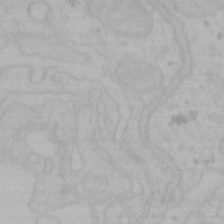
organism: Mouse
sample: Choroid plexus